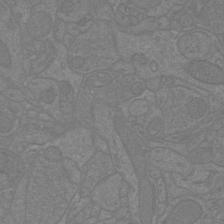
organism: Mouse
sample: Cortical neurons